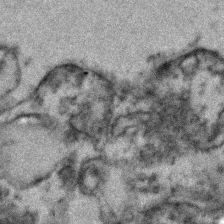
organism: Zebrafish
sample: Zebrafish embryo